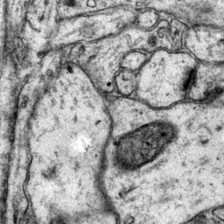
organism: Mouse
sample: Primary visual cortex